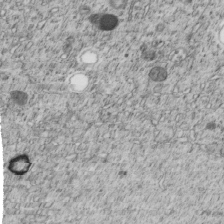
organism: C. elegans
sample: C. elegans embryo early stage